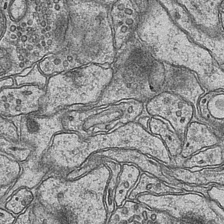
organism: Mouse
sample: CA1 Hippocampus